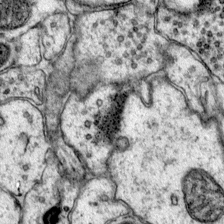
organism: Mouse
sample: Primary visual cortex